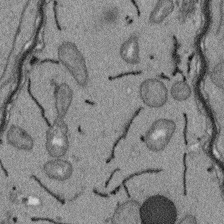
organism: Arabidopsis thaliana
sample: Root tip